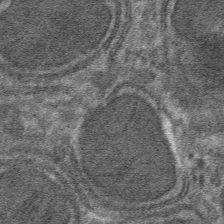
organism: Mouse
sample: Mouse hepatocytes